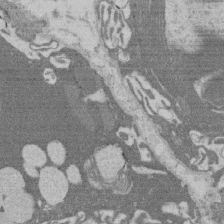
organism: Rat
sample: Salivary granule